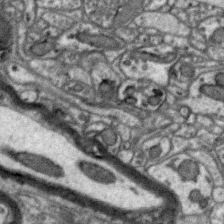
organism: Zebra finch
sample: Brain